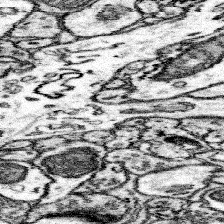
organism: Mouse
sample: Somatosensory cortex neuropil